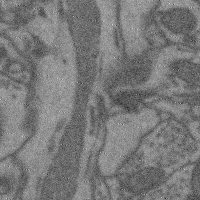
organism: Mouse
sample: Cerebral cortex